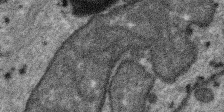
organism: Human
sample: Lung epithelial cells infected with SARS-CoV-2